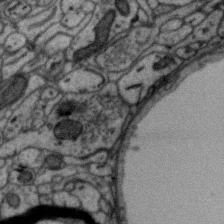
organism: Zebra finch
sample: Brain